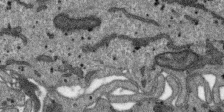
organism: Human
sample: Lung epithelial cells, uninfected (mock) control